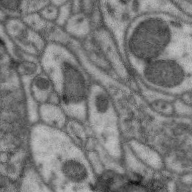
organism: Zebra finch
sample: Brain